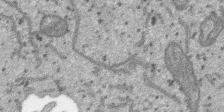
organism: Human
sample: Lung epithelial cells infected with SARS-CoV-2